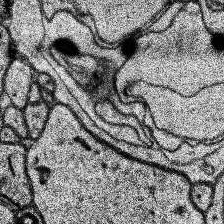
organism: Human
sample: Temporal Lobe